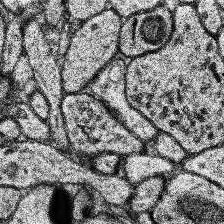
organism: Human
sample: Temporal Lobe